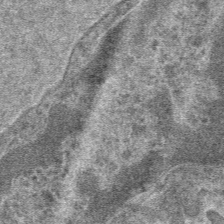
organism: Mouse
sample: Mouse hepatocytes